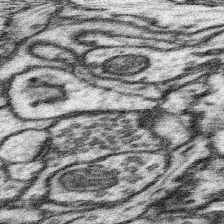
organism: Mouse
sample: Somatosensory cortex neuropil